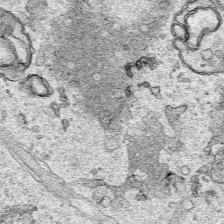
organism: Human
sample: Mitochondria in HCT116 cells